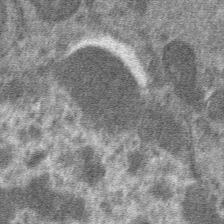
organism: Mouse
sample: Mouse hepatocytes